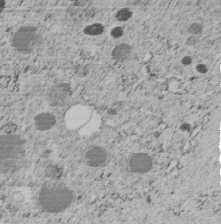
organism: C. elegans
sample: C. elegans embryo early stage